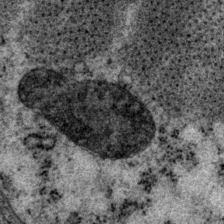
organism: P. pacificus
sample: Pharynx